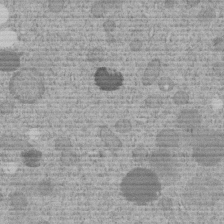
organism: C. elegans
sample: C. elegans embryo early stage